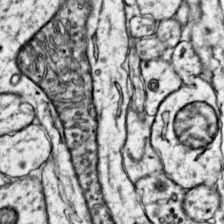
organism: Mouse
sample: Primary visual cortex